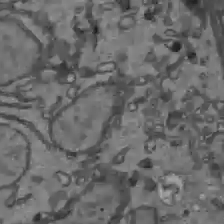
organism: C57BL Mouse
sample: Liver